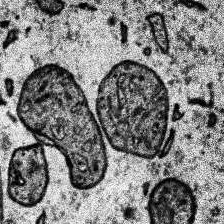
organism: Human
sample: Temporal Lobe